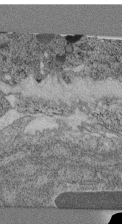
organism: C. elegans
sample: C. elegans pharynx